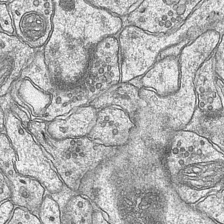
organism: Mouse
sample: CA1 Hippocampus